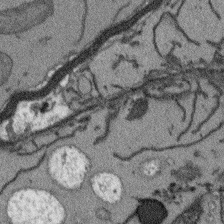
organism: Arabidopsis thaliana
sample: Root tip